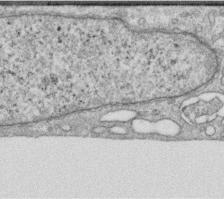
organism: Human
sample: Centriole in RPE cells